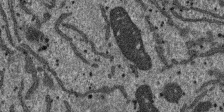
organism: Human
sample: Lung epithelial cells infected with SARS-CoV-2